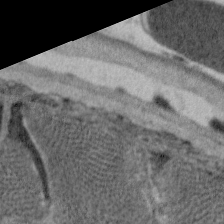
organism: C. elegans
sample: Pharynx